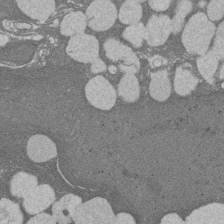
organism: Rat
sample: Salivary granule